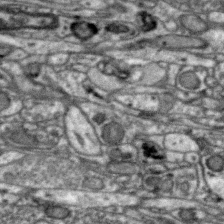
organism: Zebra finch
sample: Brain